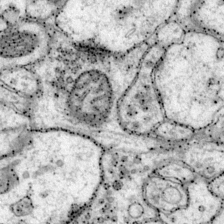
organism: Mouse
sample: Primary visual cortex